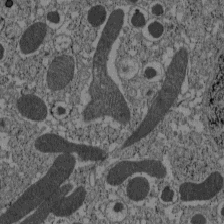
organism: C57BL Mouse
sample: Pancreatic islet